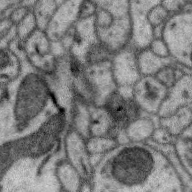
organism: Zebra finch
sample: Brain